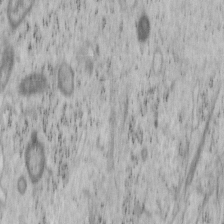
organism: Human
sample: HeLa cells